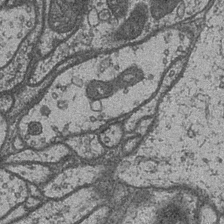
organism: Drosophila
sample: Optic medulla